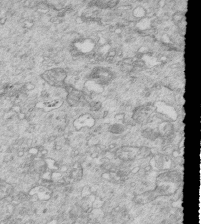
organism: Mouse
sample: Multiciliated cells